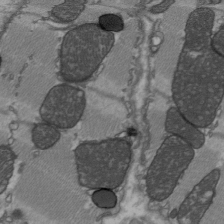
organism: C57BL Mouse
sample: Heart